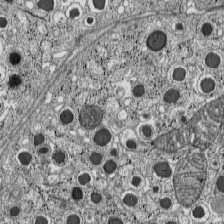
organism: C57BL Mouse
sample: Pancreatic islet